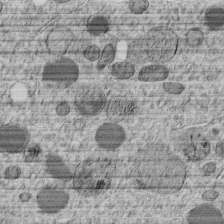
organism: C. elegans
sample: C. elegans embryo early stage